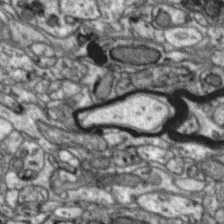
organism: Zebra finch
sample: Brain